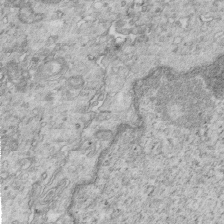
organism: Mouse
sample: Multiciliated cells